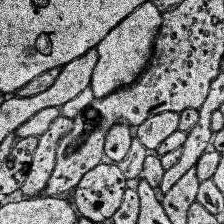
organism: Human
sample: Temporal Lobe